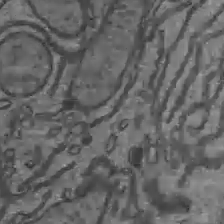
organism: C57BL Mouse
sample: Liver